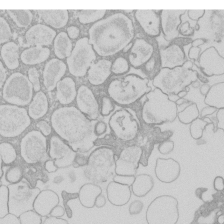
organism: Xenopus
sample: Cilia; centrioles in frog embryo cells